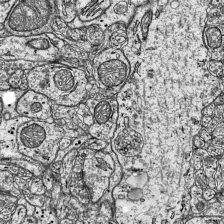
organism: Mouse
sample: Visual Cortex